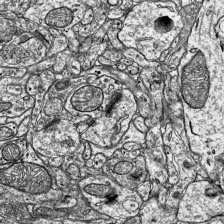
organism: Mouse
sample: Visual Cortex